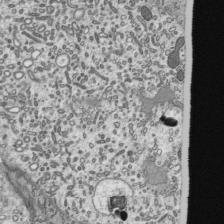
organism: Mouse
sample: Mouse epididymis efferent ductule cilia